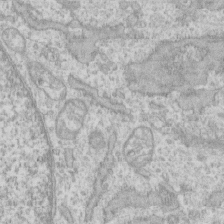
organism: Human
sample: CRL-1474